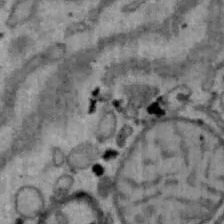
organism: Mouse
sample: Liver